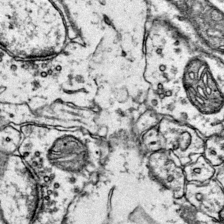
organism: Mouse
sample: Primary visual cortex